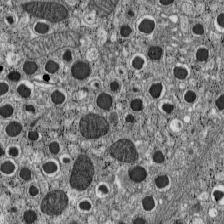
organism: C57BL Mouse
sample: Pancreatic islet